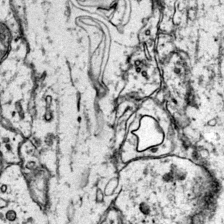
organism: Mouse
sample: Primary visual cortex